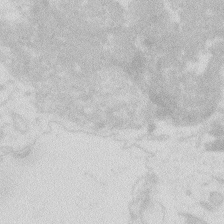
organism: Zebrafish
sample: Macrophage